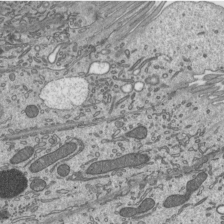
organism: Mouse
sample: Mouse epididymis efferent ductule cilia